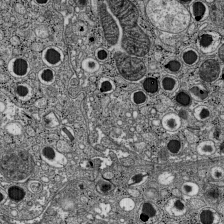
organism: C57BL Mouse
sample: Pancreatic islet